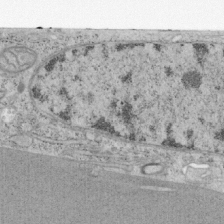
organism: Human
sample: HeLa cells